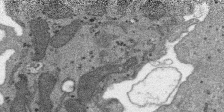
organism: Human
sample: Lung epithelial cells infected with SARS-CoV-2